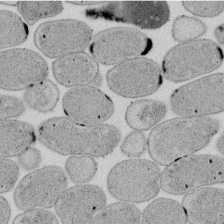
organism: E. coli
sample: Bacterial nucleoid